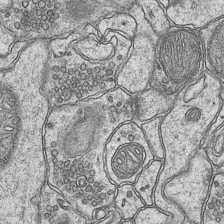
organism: Mouse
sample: CA1 Hippocampus